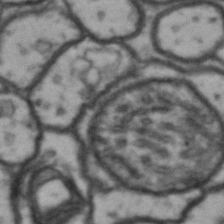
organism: Drosophila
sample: Brain